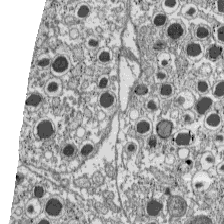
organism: C57BL Mouse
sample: Pancreatic islet